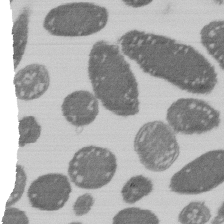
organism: E. coli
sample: Bacterial nucleoid